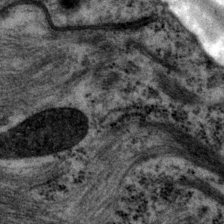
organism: P. pacificus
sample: Pharynx